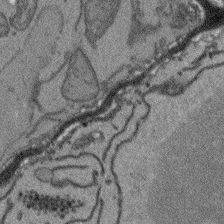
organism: Arabidopsis thaliana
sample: Root tip